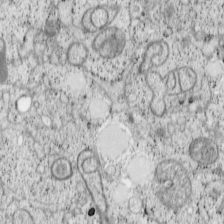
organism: African green monkey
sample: COS-7 cells